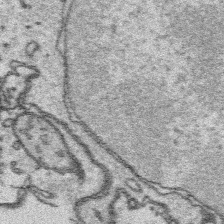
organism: Platynereis dumerilii